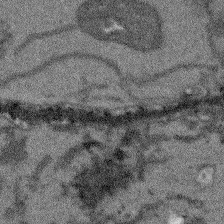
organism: Arabidopsis thaliana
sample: Root tip